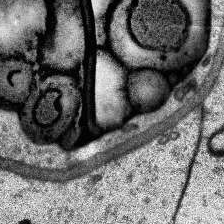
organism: Human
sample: Temporal Lobe